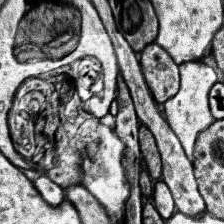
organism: Human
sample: Temporal Lobe